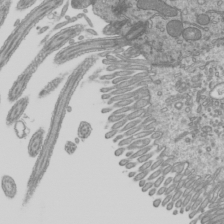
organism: Mouse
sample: Cilia; mouse epididymis